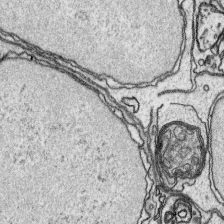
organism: Platynereis dumerilii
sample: Parapodia